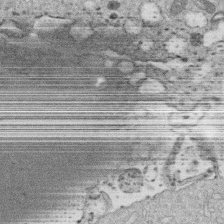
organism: Human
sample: Macrophage cells